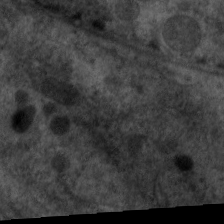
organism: C. elegans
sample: Pharynx